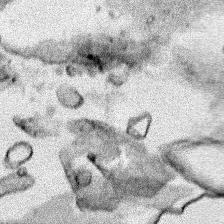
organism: Human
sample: Mitochondria in HCT116 cells